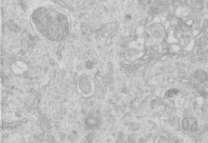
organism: Human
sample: Centriole in RPE cells